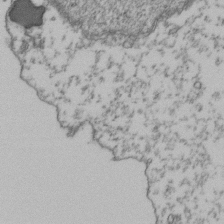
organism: Human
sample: Activated Jurkat CD4+ T cells